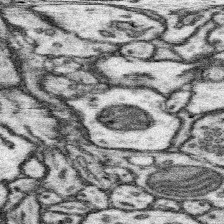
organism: Mouse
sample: Somatosensory cortex neuropil